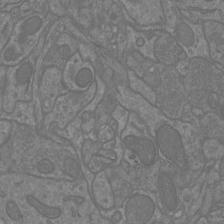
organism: Mouse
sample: Cortical neurons